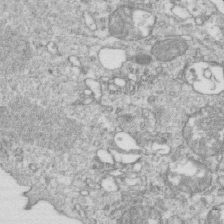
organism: Mouse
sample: Activated OT-1 CD8+ T cells